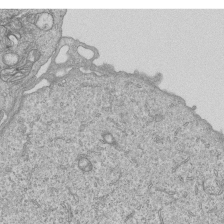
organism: Human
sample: MDA-MB-231 cells